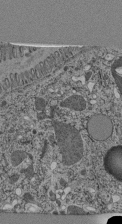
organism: C. elegans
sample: C. elegans pharynx